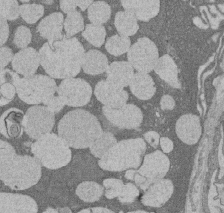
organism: Rat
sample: Salivary granule